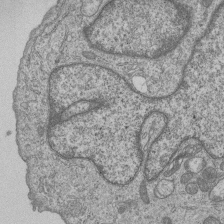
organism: Human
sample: MDA-MB-231 cells